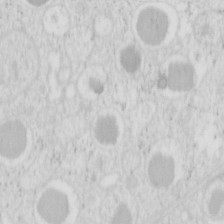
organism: Mouse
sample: Pancreas